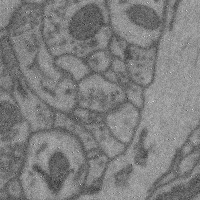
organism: Mouse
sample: Cerebral cortex